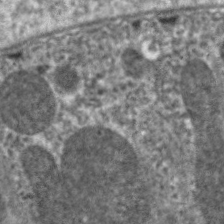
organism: C. elegans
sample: Pharynx